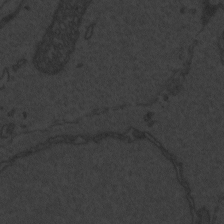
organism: Zebrafish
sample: Macrophage infected with Toxoplasma gondii